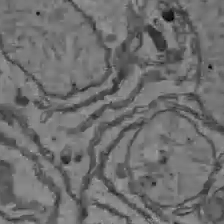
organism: C57BL Mouse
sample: Liver